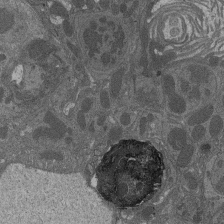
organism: Drosophila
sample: Antenna